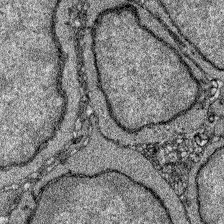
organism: Zebrafish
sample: Larval olfactory bulb